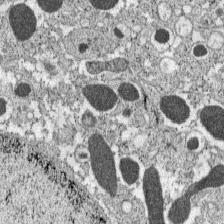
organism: C57BL Mouse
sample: Pancreatic islet